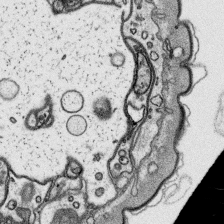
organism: Platynereis dumerilii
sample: Parapodia